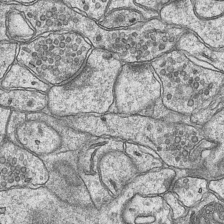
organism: Mouse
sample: CA1 Hippocampus